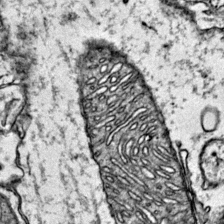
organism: Mouse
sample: Primary visual cortex